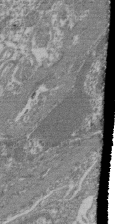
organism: Mouse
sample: Glomerulus